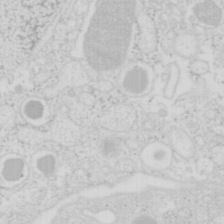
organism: Mouse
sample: Pancreas